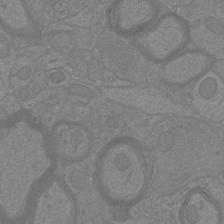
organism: Mouse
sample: Cortical neurons